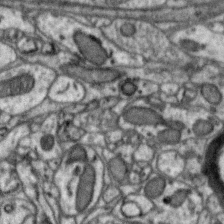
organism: Zebra finch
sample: Brain